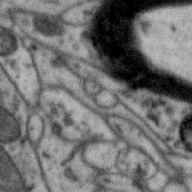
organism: Zebra finch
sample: Brain